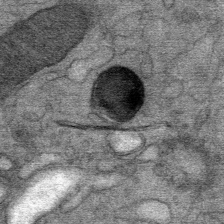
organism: Mouse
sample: Mouse Salivary gland